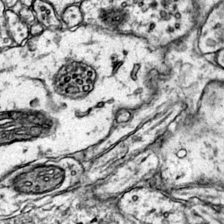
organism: Mouse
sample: Primary visual cortex